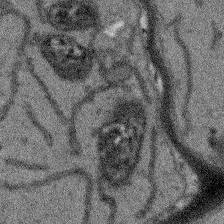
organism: Arabidopsis thaliana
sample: Root tip